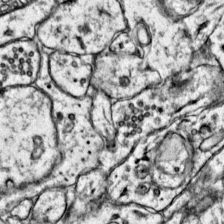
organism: Mouse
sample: Primary visual cortex